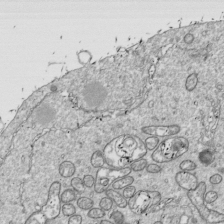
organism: Drosophila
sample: Cell division; meiosis; drosophila spermatocytes